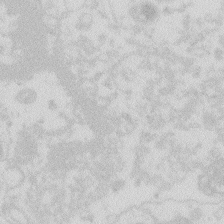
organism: Zebrafish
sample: Macrophage